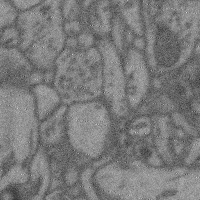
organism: Mouse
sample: Cerebral cortex